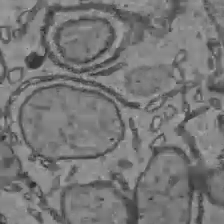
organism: C57BL Mouse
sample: Liver